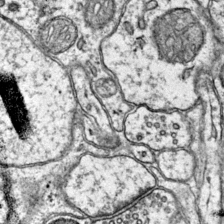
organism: Mouse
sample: Primary visual cortex